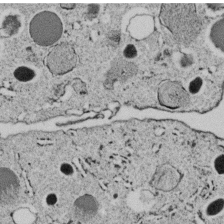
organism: C. elegans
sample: C. elegans embryo early stage